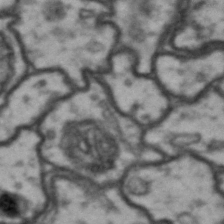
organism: Drosophila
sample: Brain